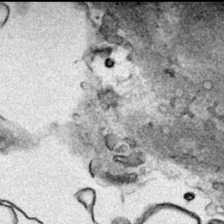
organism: Human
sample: Mitochondria in HCT116 cells